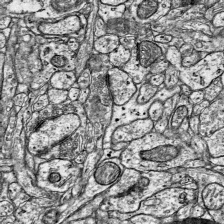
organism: Mouse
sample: Visual Cortex